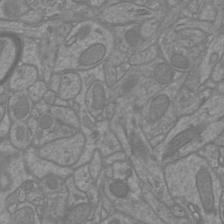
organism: Mouse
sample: Cortical neurons